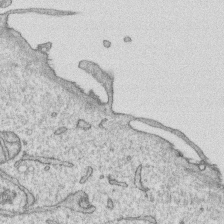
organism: Human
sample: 1205lu cells